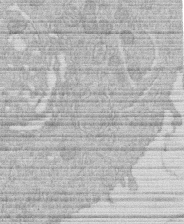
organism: Human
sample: Macrophage cells